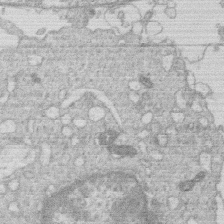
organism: Human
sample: Macrophage cells